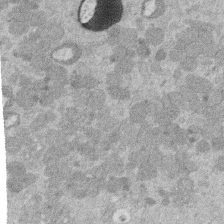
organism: Mouse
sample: Dividing mouse embryo 1 cell stage